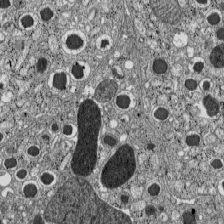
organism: C57BL Mouse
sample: Pancreatic islet